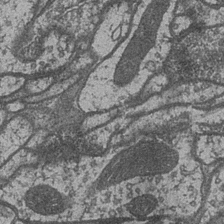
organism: Drosophila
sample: Optic medulla